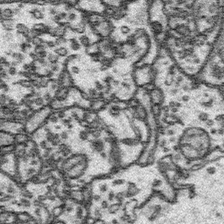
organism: Platynereis dumerilii